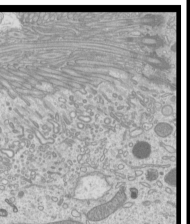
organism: Mouse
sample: Cilia; mouse epididymis